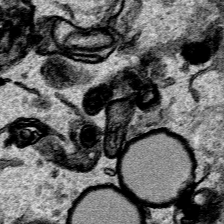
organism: Human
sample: Mitochondria in HCT116 cells